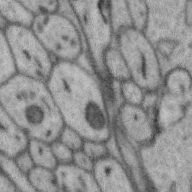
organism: Zebra finch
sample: Brain